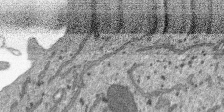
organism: Human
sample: Lung epithelial cells infected with SARS-CoV-2